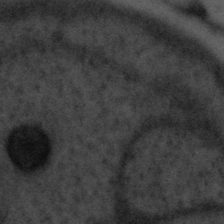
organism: Tuwongella immobilis